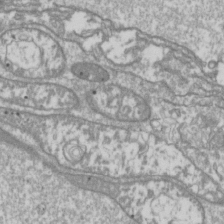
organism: Drosophila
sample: Cell division; meiosis; drosophila spermatocytes